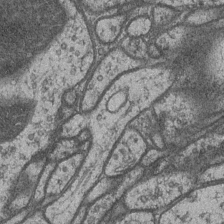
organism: Drosophila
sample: Optic medulla